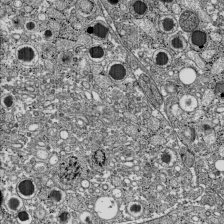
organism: C57BL Mouse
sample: Pancreatic islet